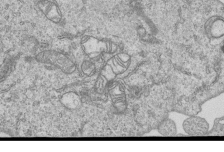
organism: Human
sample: MDA-MB-231 cells